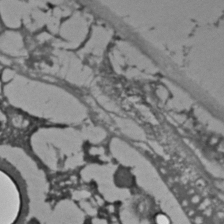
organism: C. elegans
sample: C. elegans embryo